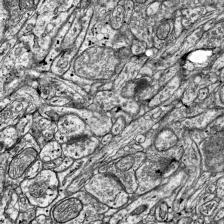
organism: Mouse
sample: Visual Cortex